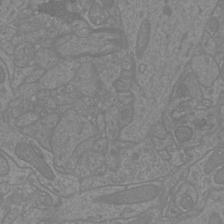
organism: Mouse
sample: Cortical neurons